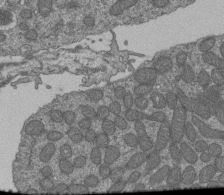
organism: Human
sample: Retinal organoid Rod and Cone cells